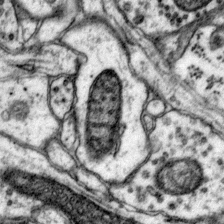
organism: Mouse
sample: Primary visual cortex